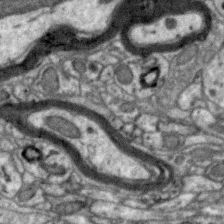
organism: Zebra finch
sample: Brain